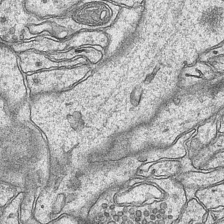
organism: Mouse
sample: CA1 Hippocampus